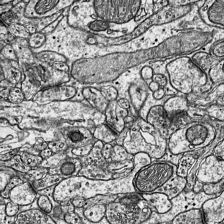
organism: Mouse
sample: Visual Cortex